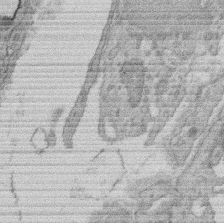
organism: Rat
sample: Salivary granule